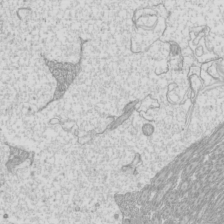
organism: Mouse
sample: Cilia; mouse epididymis